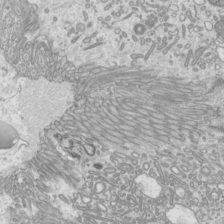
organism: Mouse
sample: Cilia; mouse epididymis